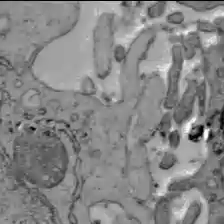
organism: C57BL Mouse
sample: Liver